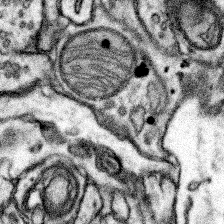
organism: Mouse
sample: Somatosensory cortex neuropil